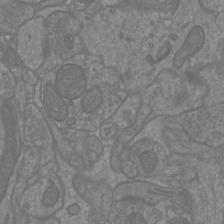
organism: Mouse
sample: Cortical neurons